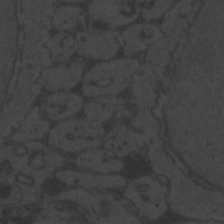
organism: Zebrafish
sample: Macrophage infected with Toxoplasma gondii